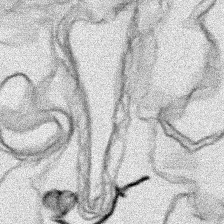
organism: Human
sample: Mitochondria in HCT116 cells